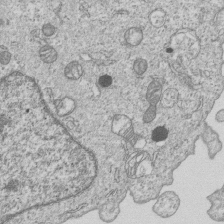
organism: Human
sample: MDA-MB-231 cells